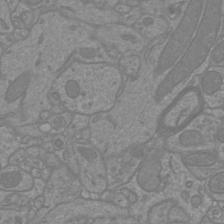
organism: Mouse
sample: Cortical neurons